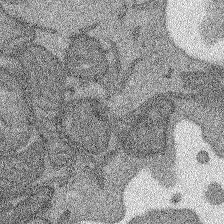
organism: Human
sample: HeLa cells